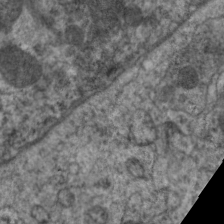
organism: C. elegans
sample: Pharynx